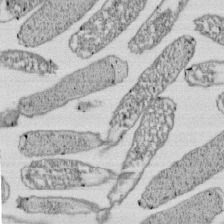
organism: E. coli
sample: Bacterial nucleoid